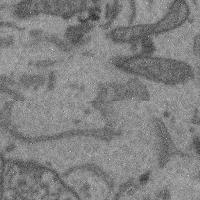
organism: Mouse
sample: Cerebral cortex